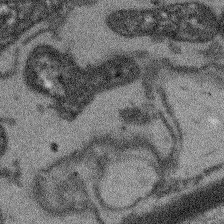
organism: Arabidopsis thaliana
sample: Root tip